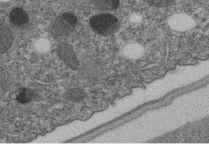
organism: C. elegans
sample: C. elegans embryo early stage